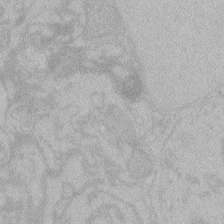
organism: Zebrafish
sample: Macrophage infected with Toxoplasma gondii